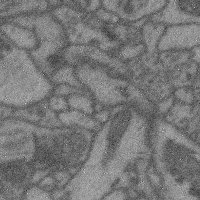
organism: Mouse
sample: Cerebral cortex